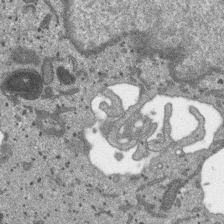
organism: Human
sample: Lung epithelial cells infected with SARS-CoV-2